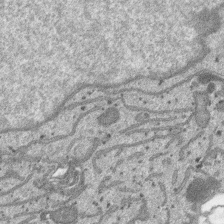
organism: Human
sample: Lung epithelial cells infected with SARS-CoV-2